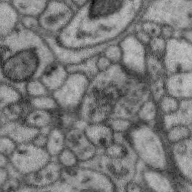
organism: Zebra finch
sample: Brain